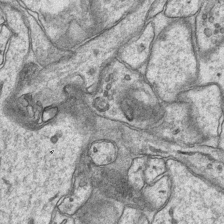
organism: Mouse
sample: CA1 Hippocampus